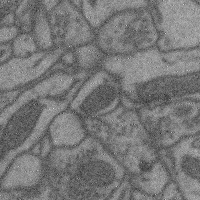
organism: Mouse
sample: Cerebral cortex